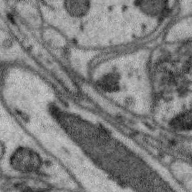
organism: Zebra finch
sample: Brain